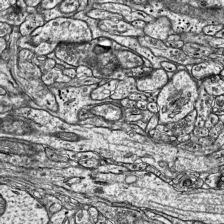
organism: Mouse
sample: Visual Cortex